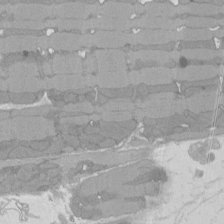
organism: Rat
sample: Left ventricle